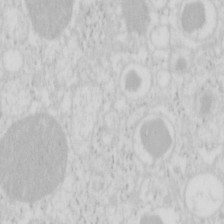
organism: Mouse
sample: Pancreas